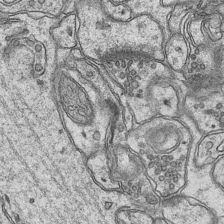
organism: Mouse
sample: CA1 Hippocampus